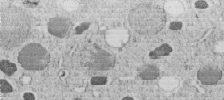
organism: C. elegans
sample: C. elegans embryo early stage